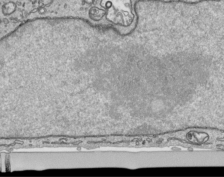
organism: Human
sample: Mitochondria in HCT116 cells